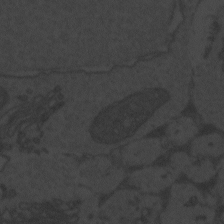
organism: Zebrafish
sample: Macrophage infected with Toxoplasma gondii